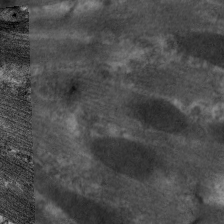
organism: C. elegans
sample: Pharynx